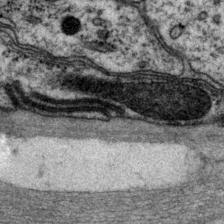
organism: P. pacificus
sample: Pharynx